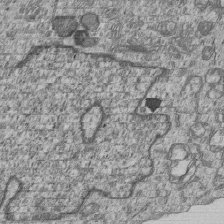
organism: Human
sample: MDA-MB-231 cells